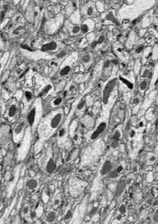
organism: Drosophila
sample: Optic lobe